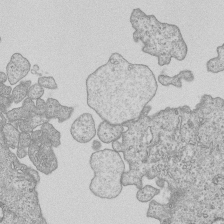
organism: Human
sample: MDA-MB-231 cells